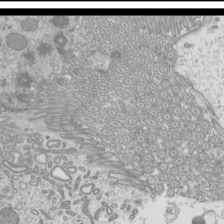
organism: Mouse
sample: Cilia; mouse epididymis